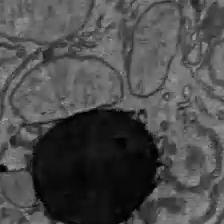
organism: C57BL Mouse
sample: Liver